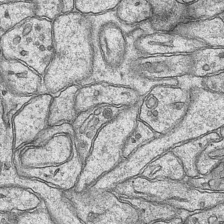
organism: Mouse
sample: CA1 Hippocampus